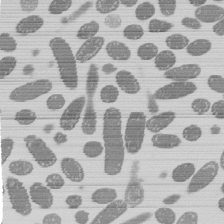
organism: E. coli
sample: Bacterial nucleoid